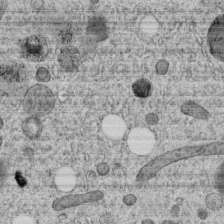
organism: C. elegans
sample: C. elegans embryo early stage